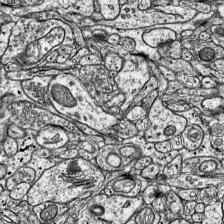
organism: Mouse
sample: Visual Cortex